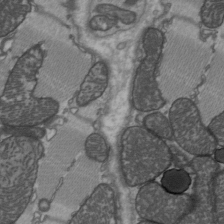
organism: C57BL Mouse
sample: Heart